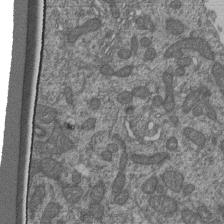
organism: Human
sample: Retinal organoid Rod and Cone cells